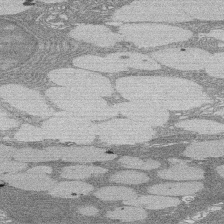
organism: Rat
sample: Salivary granule